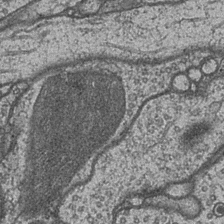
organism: Drosophila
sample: Optic medulla